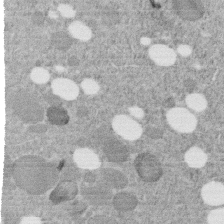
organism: C. elegans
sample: C. elegans embryo early stage